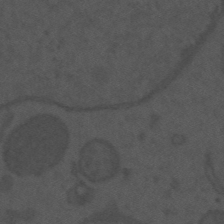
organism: Mouse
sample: Suprachiasmatic nucleus